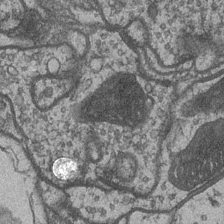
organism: Drosophila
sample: Optic medulla